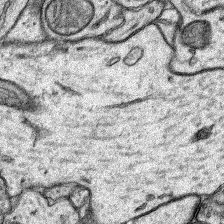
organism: Rat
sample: Hippocampus